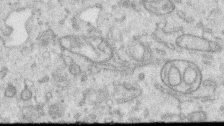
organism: Human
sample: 1205lu cells